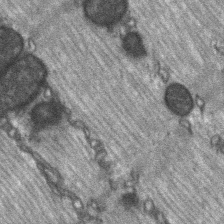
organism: C57BL Mouse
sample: Soleus